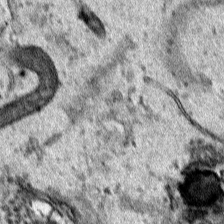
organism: Human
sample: Mitochondria in HCT116 cells